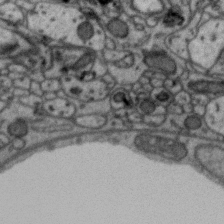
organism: Zebra finch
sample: Brain